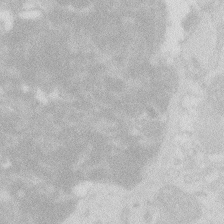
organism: Zebrafish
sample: Macrophage